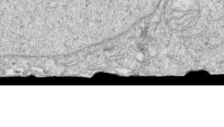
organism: Human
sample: HeLa cell HIV synapse